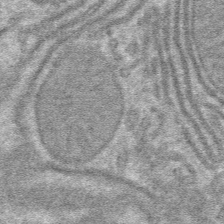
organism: Mouse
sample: Mouse hepatocytes